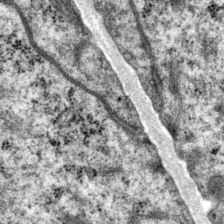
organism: P. pacificus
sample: Pharynx